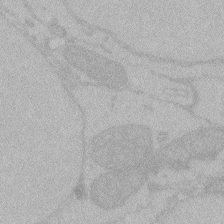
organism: Zebrafish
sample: Macrophage infected with Toxoplasma gondii